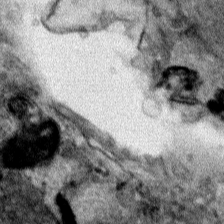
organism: Human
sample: Mitochondria in HCT116 cells